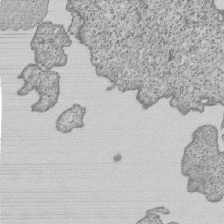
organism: Human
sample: MDA-MB-231 cells